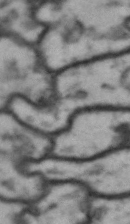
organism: Drosophila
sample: Brain